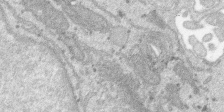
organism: Human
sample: Lung epithelial cells infected with SARS-CoV-2